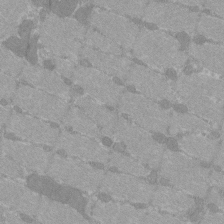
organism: C57BL Mouse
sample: Tibialis anterior muscle cell